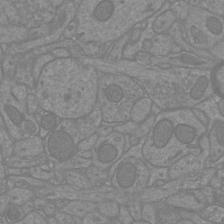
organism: Mouse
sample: Cortical neurons